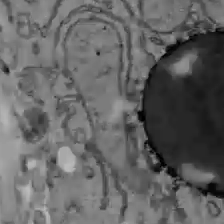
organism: C57BL Mouse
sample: Liver